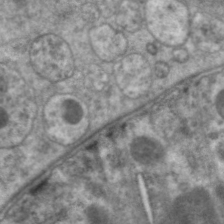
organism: C. elegans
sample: Pharynx